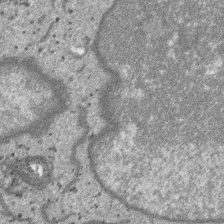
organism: Human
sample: Lung epithelial cells infected with SARS-CoV-2